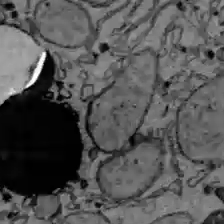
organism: C57BL Mouse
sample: Liver